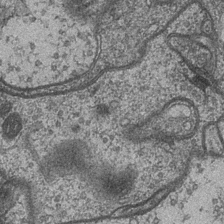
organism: Drosophila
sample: Optic medulla